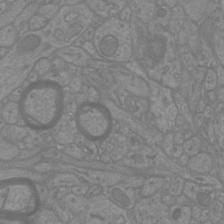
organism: Mouse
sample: Cortical neurons